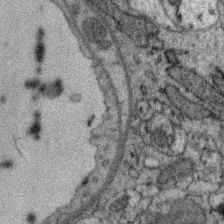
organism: Zebra finch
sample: Brain